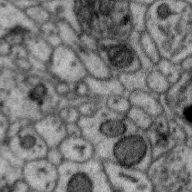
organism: Zebra finch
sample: Brain